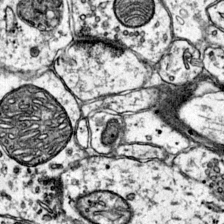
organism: Mouse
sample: Primary visual cortex